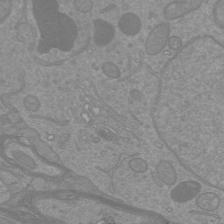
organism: Mouse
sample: Cortical neurons